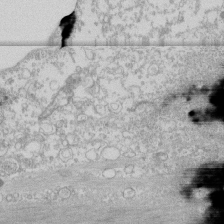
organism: Human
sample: CRL-1474